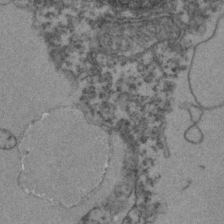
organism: Zebrafish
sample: Zebrafish embryo